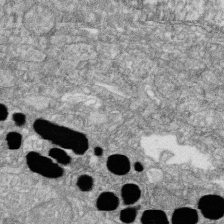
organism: Zebrafish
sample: Cilia; retinal pigment epithelium